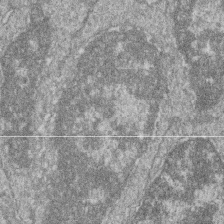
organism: Zebrafish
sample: Cilia; retinal pigment epithelium